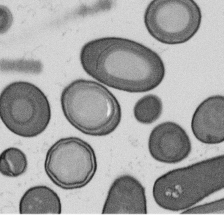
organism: B. subtilis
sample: Bacterial spore